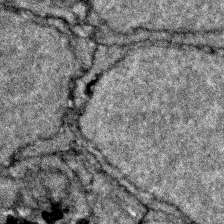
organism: Zebrafish